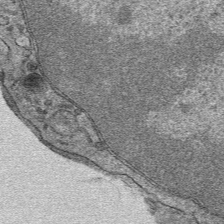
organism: Mouse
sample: Mouse hepatocytes